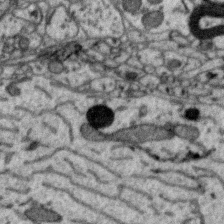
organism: Zebra finch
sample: Brain